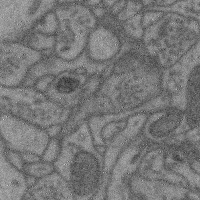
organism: Mouse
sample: Cerebral cortex